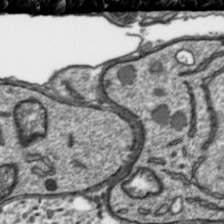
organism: Toxoplasma gondii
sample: Parasites in a vacuole inside a host cell